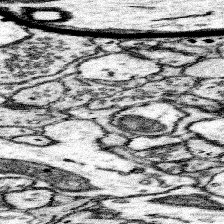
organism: Mouse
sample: Somatosensory cortex neuropil